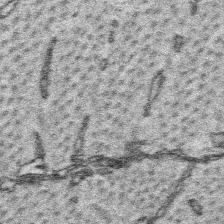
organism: Platynereis dumerilii